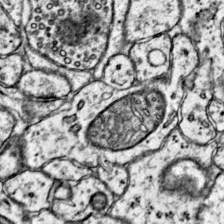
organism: Mouse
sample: Primary visual cortex